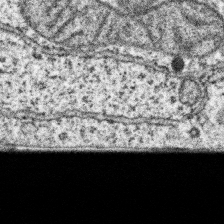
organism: Human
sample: HeLa cells